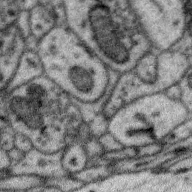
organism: Zebra finch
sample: Brain